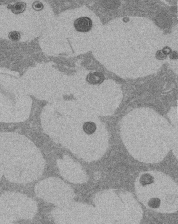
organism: Rat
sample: Salivary granule